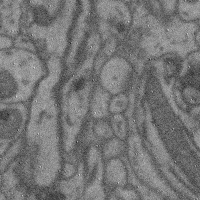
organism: Mouse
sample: Cerebral cortex